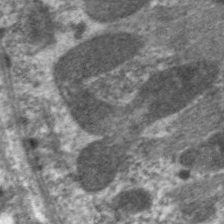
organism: C. elegans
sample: Pharynx